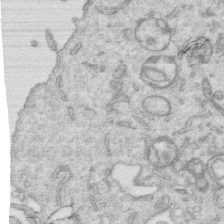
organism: Human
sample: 1205lu cells